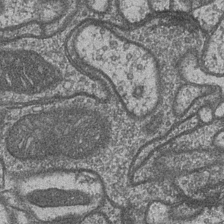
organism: Drosophila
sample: Optic medulla